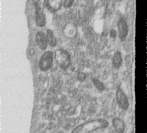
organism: Human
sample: Centriole in RPE cells